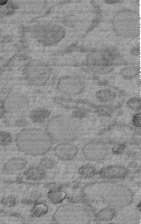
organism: C. elegans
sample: C. elegans embryo early stage